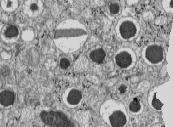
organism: C57BL Mouse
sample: Pancreatic islet